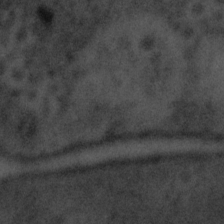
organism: Tuwongella immobilis